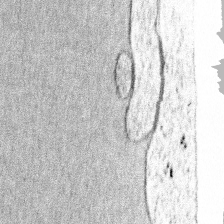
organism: Human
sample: HeLa cells